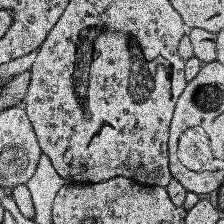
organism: Human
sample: Temporal Lobe